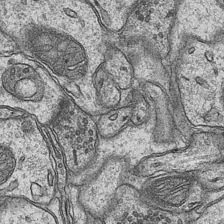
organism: Mouse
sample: CA1 Hippocampus